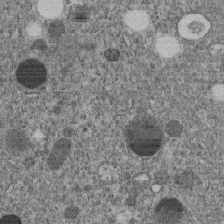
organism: C. elegans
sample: C. elegans embryo early stage